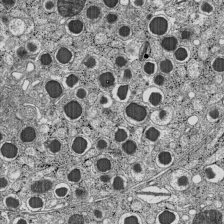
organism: C57BL Mouse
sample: Pancreatic islet